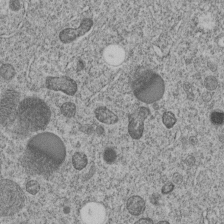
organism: C. elegans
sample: C. elegans embryo early stage